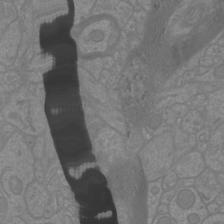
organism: Mouse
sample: Cortical neurons